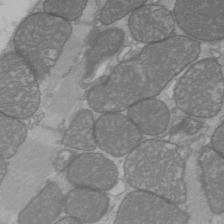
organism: C57BL Mouse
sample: Heart